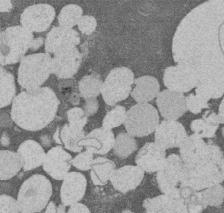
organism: Rat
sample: Salivary granule